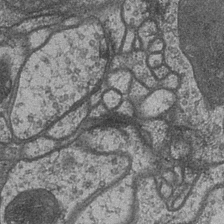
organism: Drosophila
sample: Optic medulla